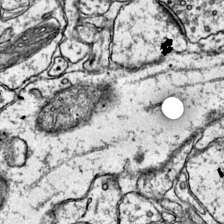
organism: Mouse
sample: Primary visual cortex